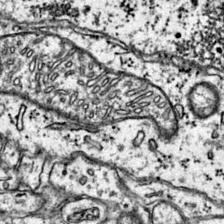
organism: Mouse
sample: Primary visual cortex